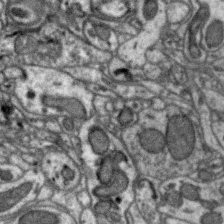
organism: Zebra finch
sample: Brain